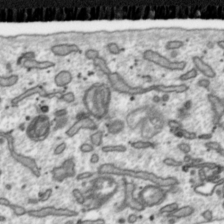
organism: Toxoplasma gondii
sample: Parasites in a vacuole inside a host cell